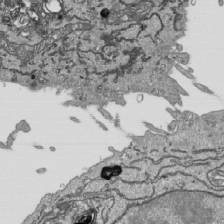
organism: Human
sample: Mitochondria in HCT116 cells